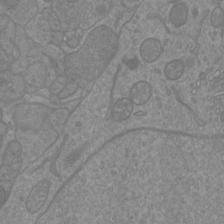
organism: Mouse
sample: Cortical neurons